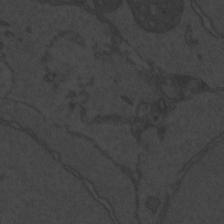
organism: Zebrafish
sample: Macrophage infected with Toxoplasma gondii